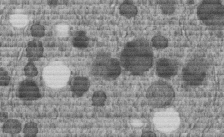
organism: C. elegans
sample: C. elegans embryo early stage